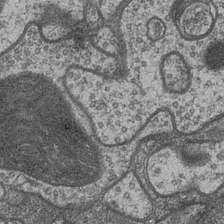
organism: Drosophila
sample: Optic medulla